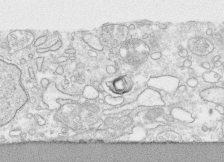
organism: Human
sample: CRL-1474